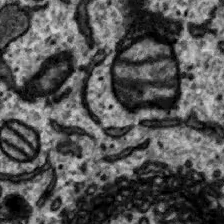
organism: Human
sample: HeLa cells